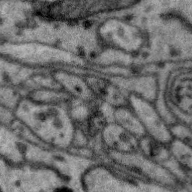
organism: Zebra finch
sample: Brain